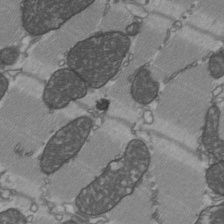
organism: C57BL Mouse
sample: Heart